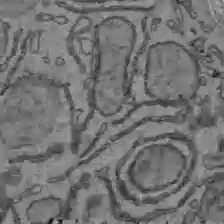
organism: C57BL Mouse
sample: Liver